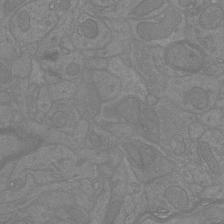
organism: Mouse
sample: Cortical neurons